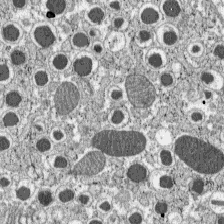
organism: C57BL Mouse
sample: Pancreatic islet